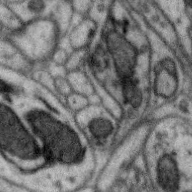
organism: Zebra finch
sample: Brain